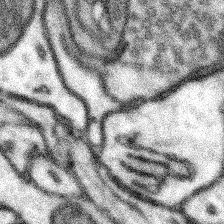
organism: Mouse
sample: Somatosensory cortex neuropil